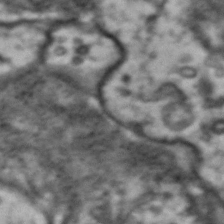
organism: Drosophila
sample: Brain